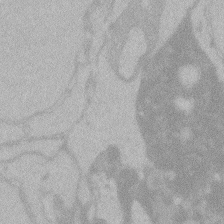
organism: Zebrafish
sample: Macrophage infected with Toxoplasma gondii